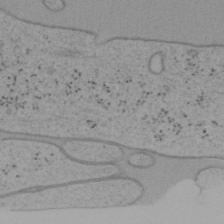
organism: Human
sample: HeLa cells